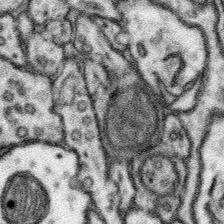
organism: Mouse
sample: Somatosensory cortex neuropil